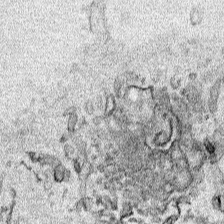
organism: Human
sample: Mitochondria in HCT116 cells